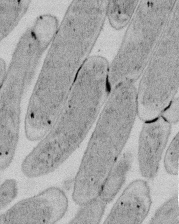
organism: E. coli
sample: Bacterial nucleoid